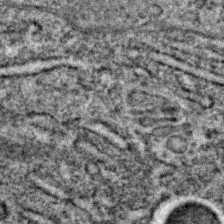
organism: C. elegans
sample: C. elegans embryo